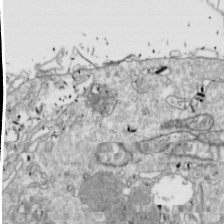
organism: Drosophila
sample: Cell division; meiosis; drosophila spermatocytes